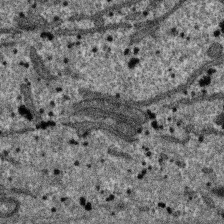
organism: Human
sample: Lung epithelial cells infected with SARS-CoV-2